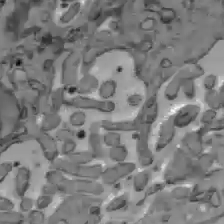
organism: C57BL Mouse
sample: Liver